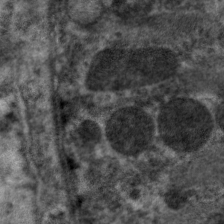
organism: C. elegans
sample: Pharynx